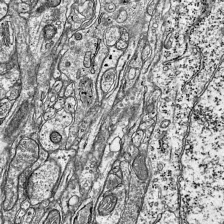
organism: Mouse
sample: Visual Cortex